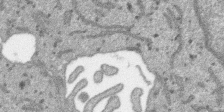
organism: Human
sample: Lung epithelial cells infected with SARS-CoV-2